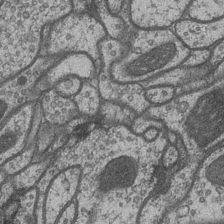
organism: Drosophila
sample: Optic medulla